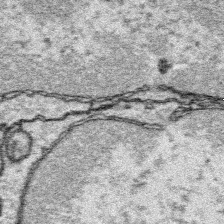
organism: Platynereis dumerilii